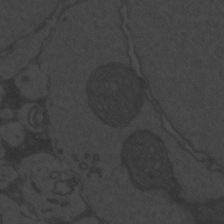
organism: Zebrafish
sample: Macrophage infected with Toxoplasma gondii